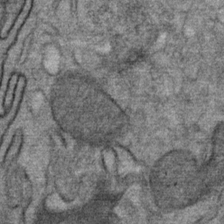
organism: Mouse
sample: Mouse Salivary gland